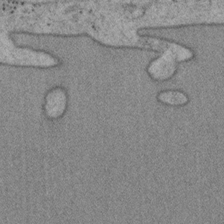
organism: Human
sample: HeLa cells